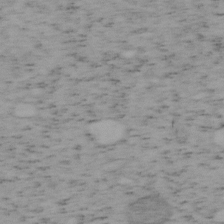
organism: Mouse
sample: OT-I killer T cells with ID8 ovarian cancer cells